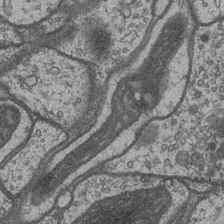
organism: Drosophila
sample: Optic medulla